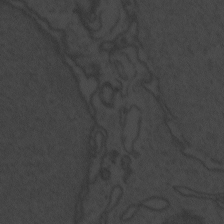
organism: Zebrafish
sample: Macrophage infected with Toxoplasma gondii